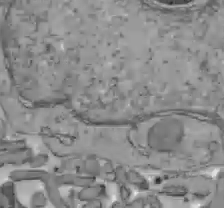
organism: C57BL Mouse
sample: Liver